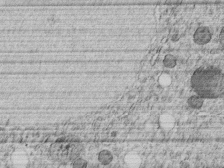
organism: C. elegans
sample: C. elegans embryo early stage